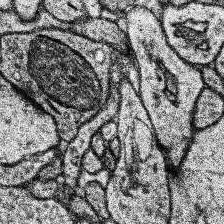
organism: Human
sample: Temporal Lobe